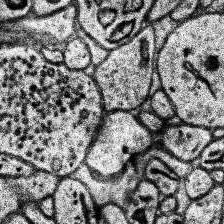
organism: Human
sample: Temporal Lobe